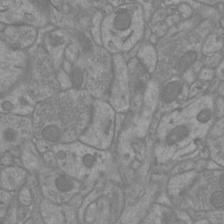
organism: Mouse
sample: Cortical neurons